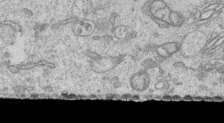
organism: Human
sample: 1205lu cells